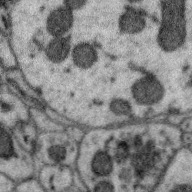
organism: Zebra finch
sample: Brain